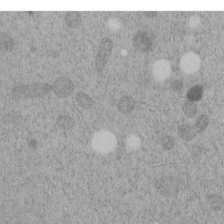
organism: C. elegans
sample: C. elegans embryo early stage